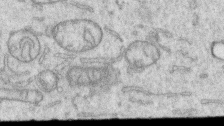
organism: Human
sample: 1205lu cells